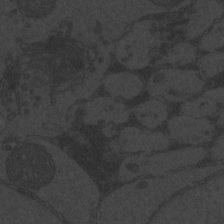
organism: Zebrafish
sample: Macrophage infected with Toxoplasma gondii